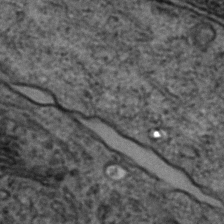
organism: Zebrafish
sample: Zebrafish embryo